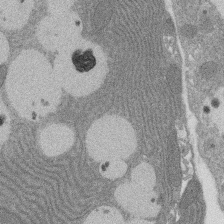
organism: Rat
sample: Salivary granule